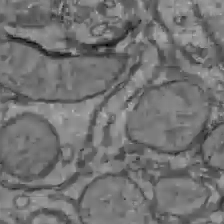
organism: C57BL Mouse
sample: Liver